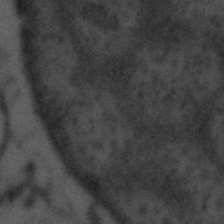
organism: Tuwongella immobilis